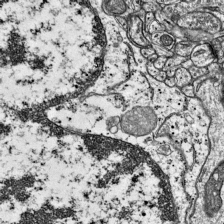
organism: Mouse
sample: Visual Cortex